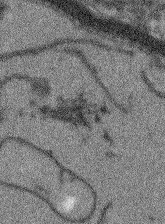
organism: Arabidopsis thaliana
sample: Root tip